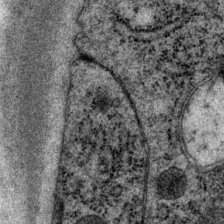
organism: P. pacificus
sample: Pharynx